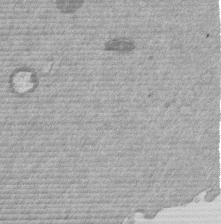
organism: Mouse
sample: Dividing mouse embryo 1 cell stage